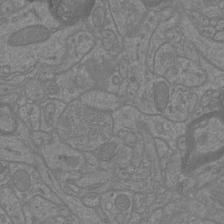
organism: Mouse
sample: Cortical neurons